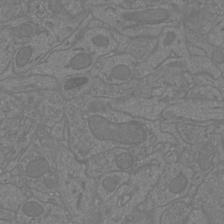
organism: Mouse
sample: Cortical neurons